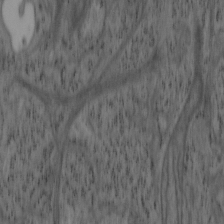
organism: Human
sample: HeLa cells